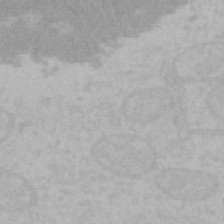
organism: Mouse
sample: Choroid plexus